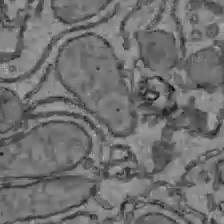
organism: C57BL Mouse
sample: Liver